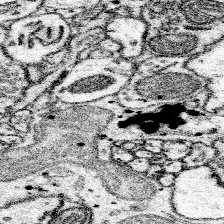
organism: Mouse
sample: Somatosensory cortex neuropil